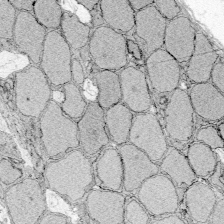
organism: Zebrafish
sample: Whole-Brain